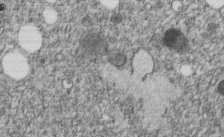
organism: C. elegans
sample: C. elegans embryo early stage